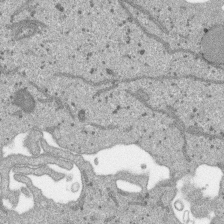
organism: Human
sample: Lung epithelial cells infected with SARS-CoV-2